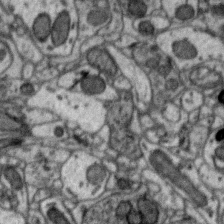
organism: Zebra finch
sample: Brain